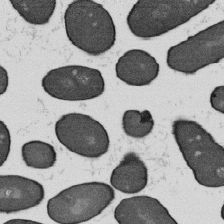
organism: B. subtilis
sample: Bacterial spore